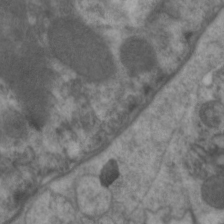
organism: C. elegans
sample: Pharynx